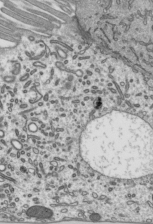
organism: Mouse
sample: Mouse epididymis efferent ductule cilia